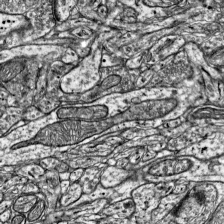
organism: Mouse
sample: Visual Cortex